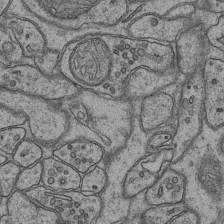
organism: Mouse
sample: CA1 Hippocampus